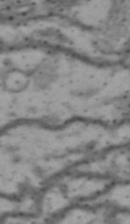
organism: Drosophila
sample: Brain